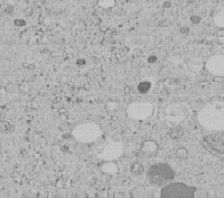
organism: C. elegans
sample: C. elegans embryo early stage